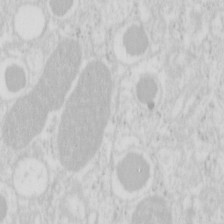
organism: Mouse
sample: Pancreas